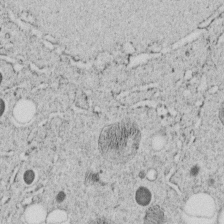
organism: C. elegans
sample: C. elegans embryo early stage